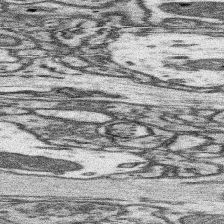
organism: Mouse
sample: Somatosensory cortex neuropil